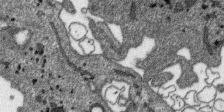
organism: Human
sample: Lung epithelial cells infected with SARS-CoV-2